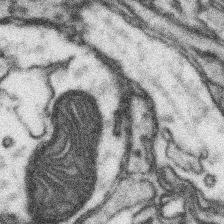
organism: Mouse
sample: Somatosensory cortex neuropil